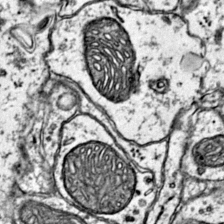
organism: Mouse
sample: Primary visual cortex